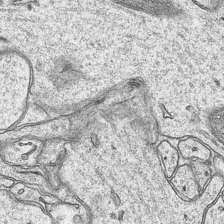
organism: Mouse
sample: CA1 Hippocampus